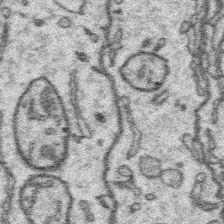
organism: Platynereis dumerilii